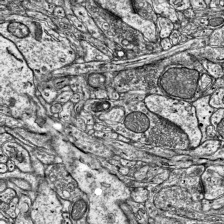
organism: Mouse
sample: Visual Cortex